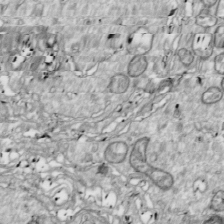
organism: Drosophila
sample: Cell division; meiosis; drosophila spermatocytes